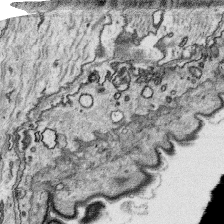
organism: Platynereis dumerilii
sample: Parapodia